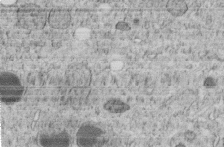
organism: C. elegans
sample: C. elegans embryo early stage